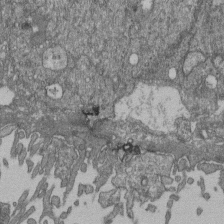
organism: Human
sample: Retinal organoid Rod and Cone cells